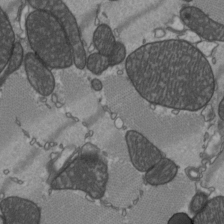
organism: C57BL Mouse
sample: Heart